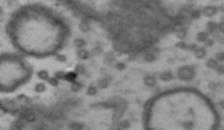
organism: Drosophila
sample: Brain